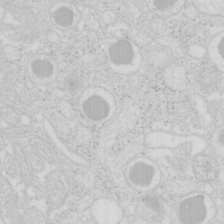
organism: Mouse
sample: Pancreas